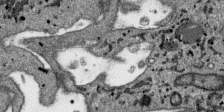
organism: Human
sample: Lung epithelial cells, uninfected (mock) control